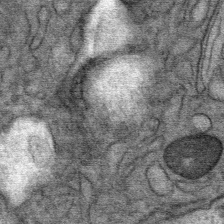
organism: Mouse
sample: Mouse Salivary gland